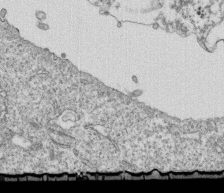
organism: Human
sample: HeLa cell HIV synapse